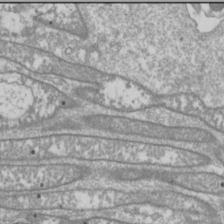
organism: Drosophila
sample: Cell division; meiosis; drosophila spermatocytes